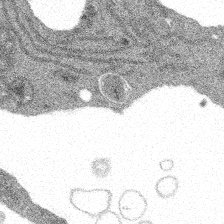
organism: Spongilla lacustris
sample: Multiple